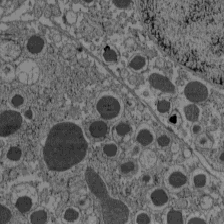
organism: C57BL Mouse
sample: Pancreatic islet